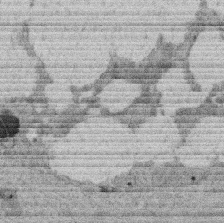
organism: Rat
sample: Salivary granule